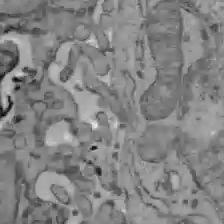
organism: C57BL Mouse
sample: Liver